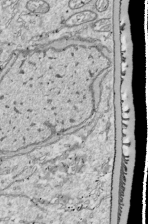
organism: Drosophila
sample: Cell division; meiosis; drosophila spermatocytes